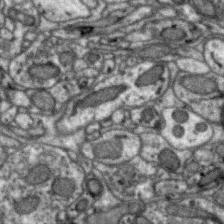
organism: Zebra finch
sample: Brain